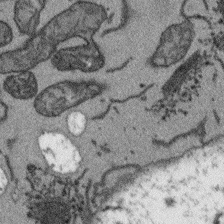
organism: Arabidopsis thaliana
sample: Root tip